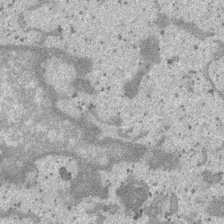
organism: Human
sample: Lung epithelial cells infected with SARS-CoV-2